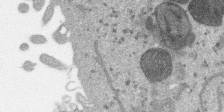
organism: Human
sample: Lung epithelial cells infected with SARS-CoV-2